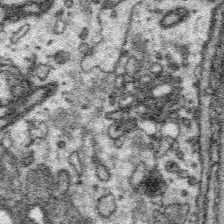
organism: Platynereis dumerilii